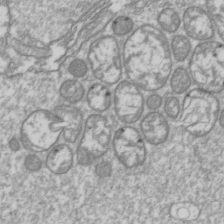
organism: Drosophila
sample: Cell division; meiosis; drosophila spermatocytes